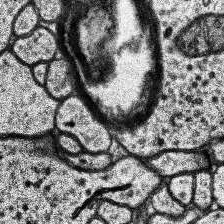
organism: Human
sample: Temporal Lobe